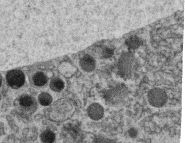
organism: C. elegans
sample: C. elegans oocyte; sperm cells